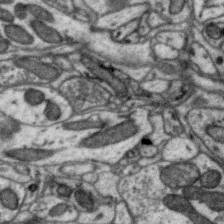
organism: Zebra finch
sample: Brain